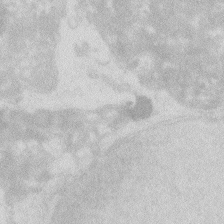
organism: Zebrafish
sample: Macrophage